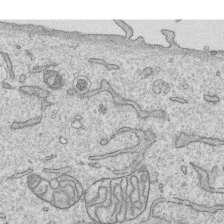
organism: Human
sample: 1205lu cells